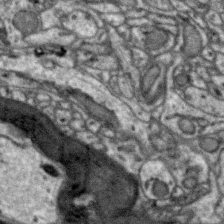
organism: Zebra finch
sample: Brain